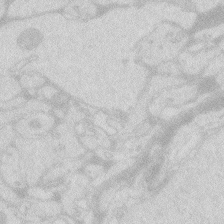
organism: Zebrafish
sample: Macrophage